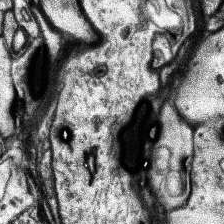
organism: Human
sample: Temporal Lobe